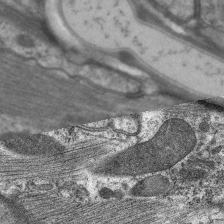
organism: C. elegans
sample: Pharynx